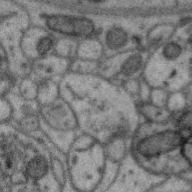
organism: Zebra finch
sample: Brain